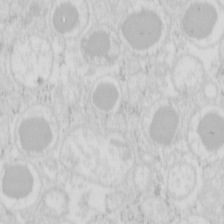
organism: Mouse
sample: Pancreas